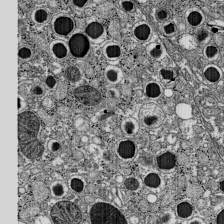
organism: C57BL Mouse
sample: Pancreatic islet